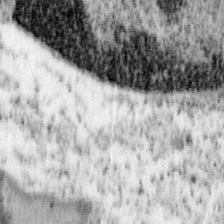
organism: Mouse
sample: OT-I killer T cells with ID8 ovarian cancer cells